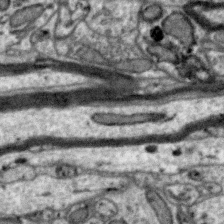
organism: Zebra finch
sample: Brain